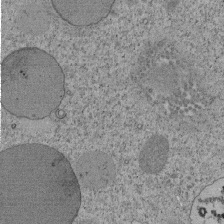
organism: Tetrahymena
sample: Cilia in tetrahymena